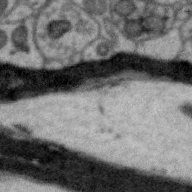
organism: Zebra finch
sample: Brain